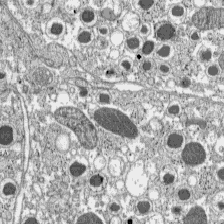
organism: C57BL Mouse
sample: Pancreatic islet